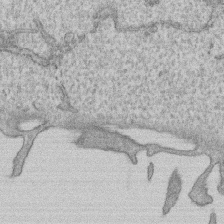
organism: Human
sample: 1205lu cells